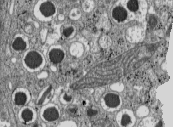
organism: C57BL Mouse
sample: Pancreatic islet